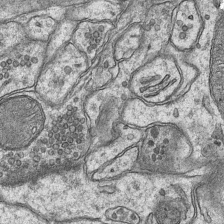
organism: Mouse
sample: CA1 Hippocampus